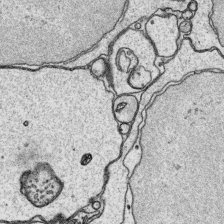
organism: Platynereis dumerilii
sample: Parapodia